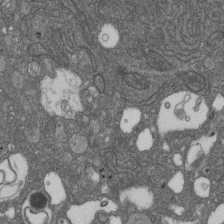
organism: Drosophila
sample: Nephrocyte